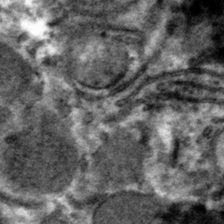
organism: Mouse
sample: Mouse hepatocytes